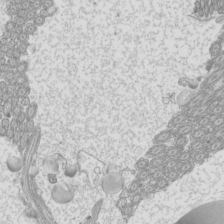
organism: Mouse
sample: Cilia; mouse epididymis